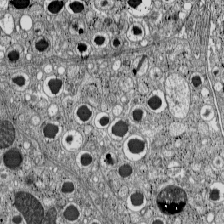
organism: C57BL Mouse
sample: Pancreatic islet